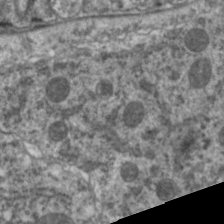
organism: C. elegans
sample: Pharynx